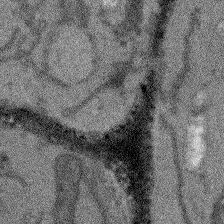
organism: Arabidopsis thaliana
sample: Root tip